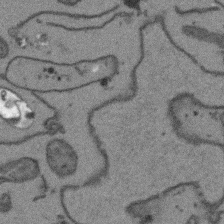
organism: Arabidopsis thaliana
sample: Root tip